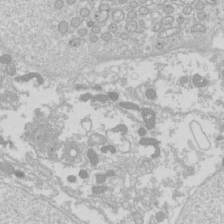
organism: Drosophila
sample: Cell division; meiosis; drosophila spermatocytes